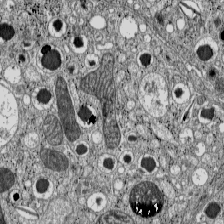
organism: C57BL Mouse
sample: Pancreatic islet